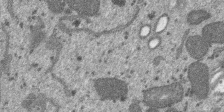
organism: Human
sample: Lung epithelial cells infected with SARS-CoV-2